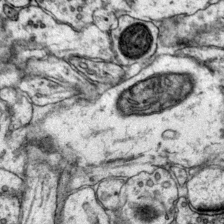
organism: Mouse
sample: Primary visual cortex